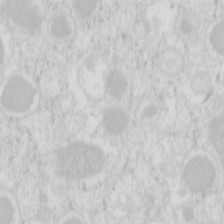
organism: Mouse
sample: Pancreas